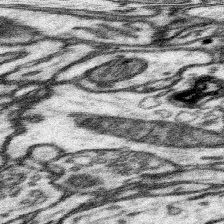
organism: Mouse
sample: Somatosensory cortex neuropil